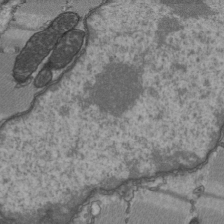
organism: C57BL Mouse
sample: Heart